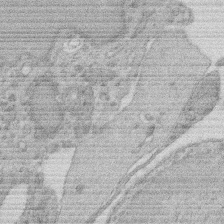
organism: Rat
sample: Salivary granule